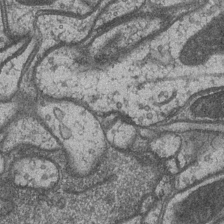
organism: Drosophila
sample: Optic medulla